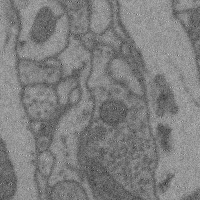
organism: Mouse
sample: Cerebral cortex